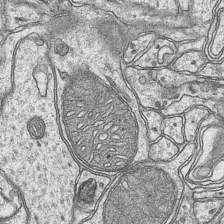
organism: Mouse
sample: CA1 Hippocampus